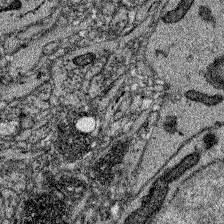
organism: Zebrafish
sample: Larval olfactory bulb